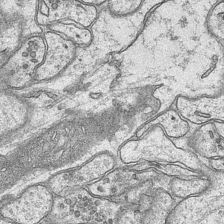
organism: Mouse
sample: CA1 Hippocampus